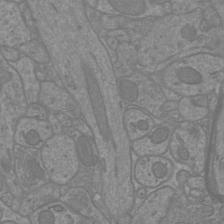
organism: Mouse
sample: Cortical neurons